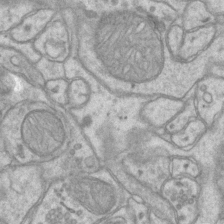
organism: Mouse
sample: CA1 Hippocampus